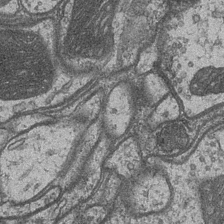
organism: Drosophila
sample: Optic medulla